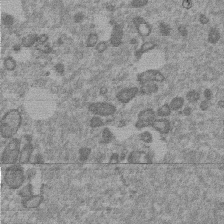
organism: Mouse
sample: Dividing mouse embryo 1 cell stage